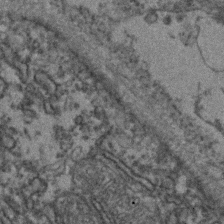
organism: Zebrafish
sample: Zebrafish embryo